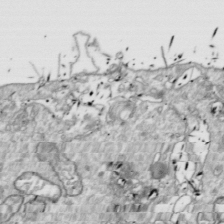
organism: Drosophila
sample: Cell division; meiosis; drosophila spermatocytes